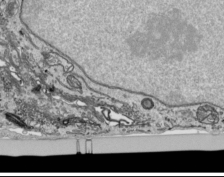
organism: Human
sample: Mitochondria in HCT116 cells